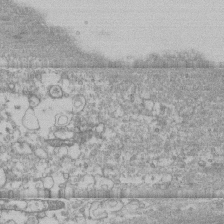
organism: Human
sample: CRL-1474